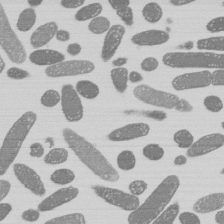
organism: E. coli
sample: Bacterial nucleoid